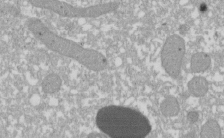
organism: Xenopus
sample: Cilia; centrioles in frog embryo cells